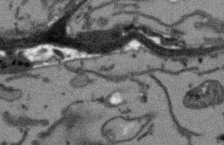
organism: Arabidopsis thaliana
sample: Root tip